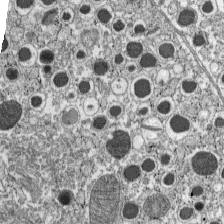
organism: C57BL Mouse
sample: Pancreatic islet